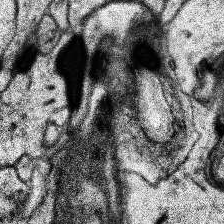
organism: Human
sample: Temporal Lobe